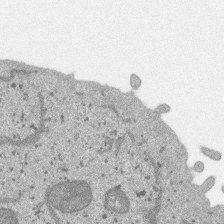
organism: Human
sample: Lung epithelial cells infected with SARS-CoV-2